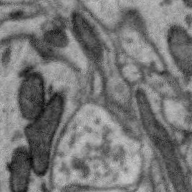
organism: Zebra finch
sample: Brain